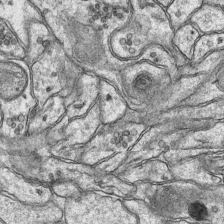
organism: Mouse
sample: CA1 Hippocampus